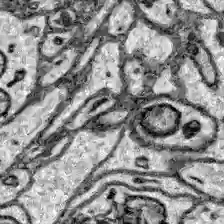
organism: Zebrafish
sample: Brain